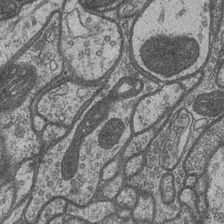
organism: Drosophila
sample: Optic medulla